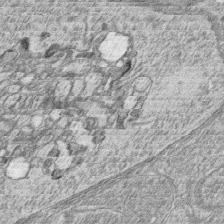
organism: Zebrafish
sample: synaptic ribbons in rod cells and cone cells